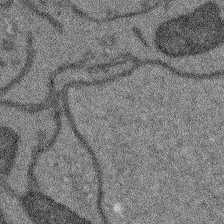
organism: Arabidopsis thaliana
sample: Root tip